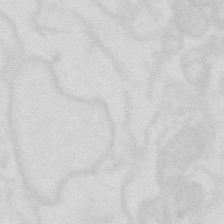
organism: Human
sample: HeLa cells